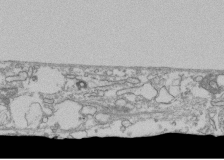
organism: Human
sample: Fibroblast cells